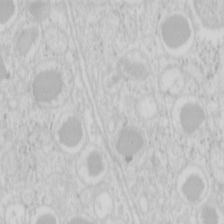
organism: Mouse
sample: Pancreas